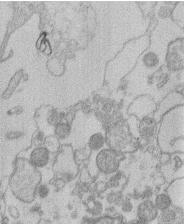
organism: Human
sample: Macrophage cells